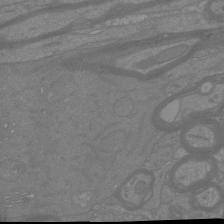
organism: Mouse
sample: Cortical neurons